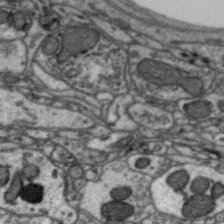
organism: Zebra finch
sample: Brain